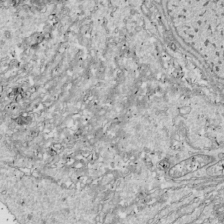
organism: Drosophila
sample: Cell division; meiosis; drosophila spermatocytes